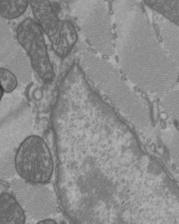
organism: C57BL Mouse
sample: Heart